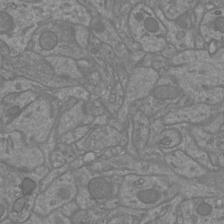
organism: Mouse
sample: Cortical neurons